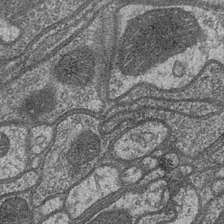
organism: Drosophila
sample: Optic medulla